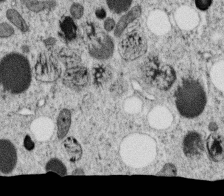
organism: C. elegans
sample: C. elegans oocyte; sperm cells